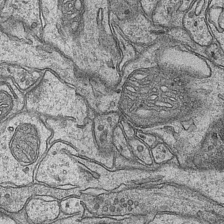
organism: Mouse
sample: CA1 Hippocampus